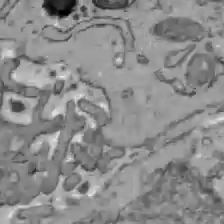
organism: C57BL Mouse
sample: Liver